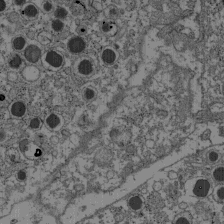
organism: C57BL Mouse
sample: Pancreatic islet